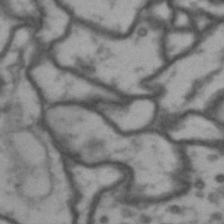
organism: Drosophila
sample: Brain